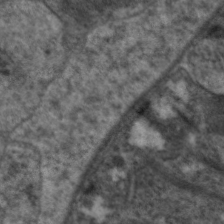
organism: C. elegans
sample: Pharynx